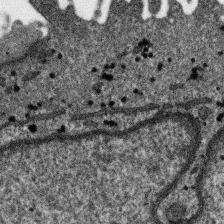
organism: Human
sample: Lung epithelial cells infected with SARS-CoV-2